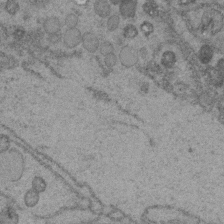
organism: C. elegans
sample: C. elegans embryo early stage